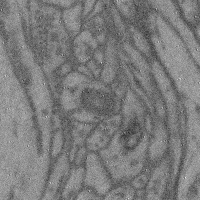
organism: Mouse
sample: Cerebral cortex